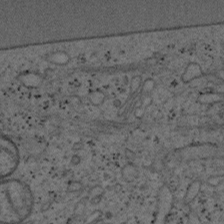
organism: Human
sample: HeLa cells